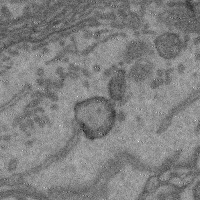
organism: Mouse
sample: Cerebral cortex